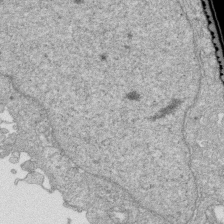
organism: Human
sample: HeLa cell HIV synapse